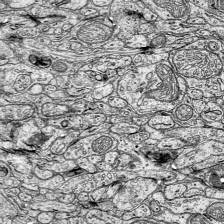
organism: Mouse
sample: Visual Cortex